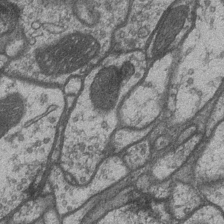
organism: Drosophila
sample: Optic medulla